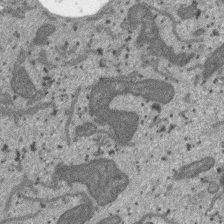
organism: Human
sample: Lung epithelial cells infected with SARS-CoV-2